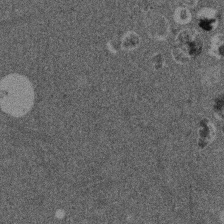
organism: Mouse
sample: Dividing mouse embryo 1 cell stage